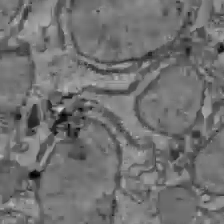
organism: C57BL Mouse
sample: Liver